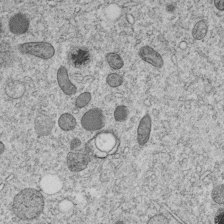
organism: C. elegans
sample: C. elegans embryo early stage